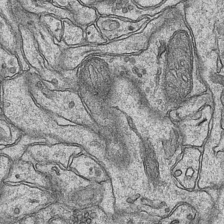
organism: Mouse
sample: CA1 Hippocampus